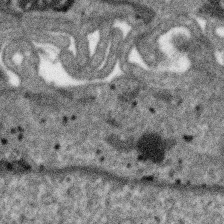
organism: Human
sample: Lung epithelial cells infected with SARS-CoV-2